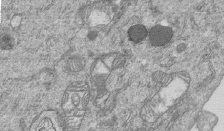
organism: Human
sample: MDA-MB-231 cells